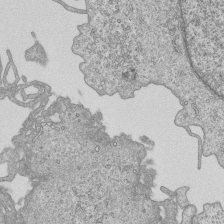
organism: Human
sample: MDA-MB-231 cells